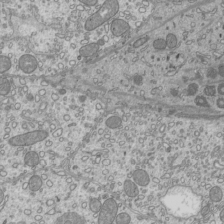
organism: Mouse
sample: Cilia; mouse epididymis